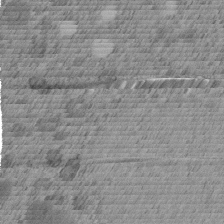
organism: C. elegans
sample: C. elegans embryo early stage